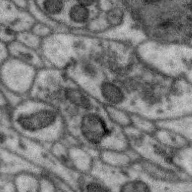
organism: Zebra finch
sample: Brain